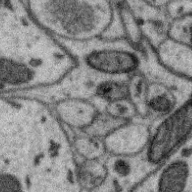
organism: Zebra finch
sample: Brain